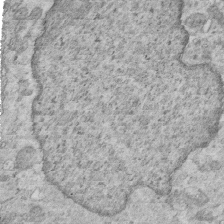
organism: Mouse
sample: Multiciliated cells